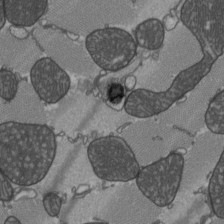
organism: C57BL Mouse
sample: Heart